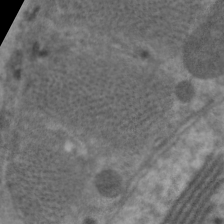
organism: C. elegans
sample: Pharynx